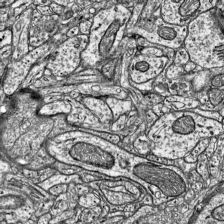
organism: Mouse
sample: Visual Cortex